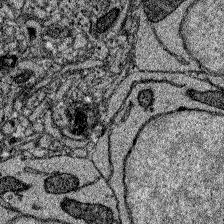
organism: Zebrafish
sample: Larval olfactory bulb